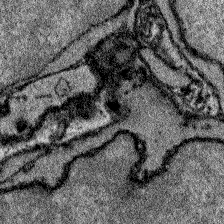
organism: Zebrafish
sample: Larval olfactory bulb